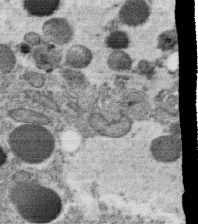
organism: C. elegans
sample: C. elegans oocyte; sperm cells